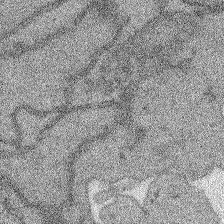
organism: Human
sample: HeLa cells